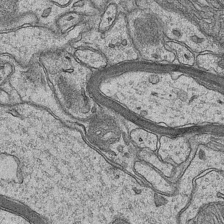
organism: Mouse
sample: CA1 Hippocampus